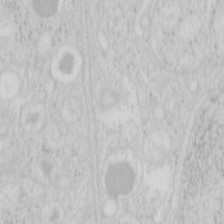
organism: Mouse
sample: Pancreas